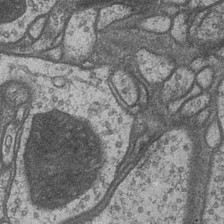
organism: Drosophila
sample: Optic medulla